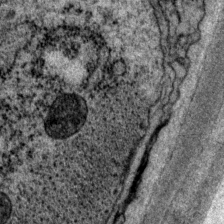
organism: P. pacificus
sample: Pharynx